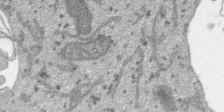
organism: Human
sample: Lung epithelial cells infected with SARS-CoV-2